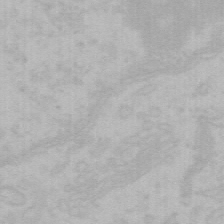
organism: Mouse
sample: Choroid plexus